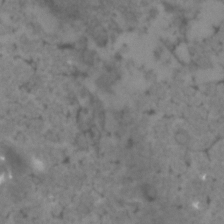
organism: Human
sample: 1205lu cells